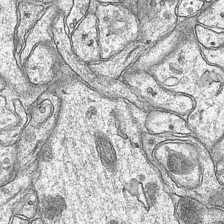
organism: Mouse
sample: CA1 Hippocampus